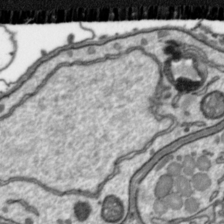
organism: Toxoplasma gondii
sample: Parasites in a vacuole inside a host cell